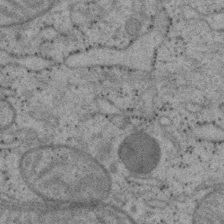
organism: Human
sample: HeLa cells